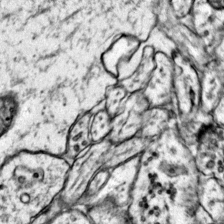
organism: Mouse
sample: Primary visual cortex